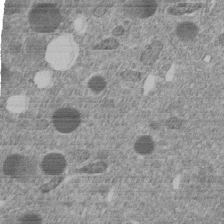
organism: C. elegans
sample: C. elegans embryo early stage